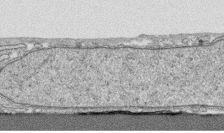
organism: Human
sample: CRL-1474